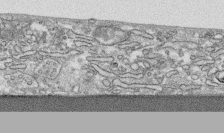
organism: Human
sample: CRL-1474